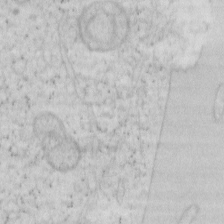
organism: Human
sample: HeLa cells